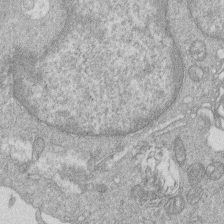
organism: Human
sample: Macrophage cells